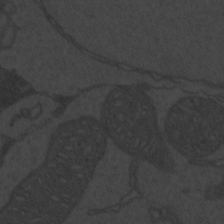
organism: Zebrafish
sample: Macrophage infected with Toxoplasma gondii